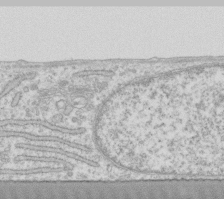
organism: Human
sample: Fibroblast cells